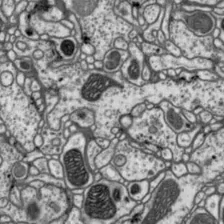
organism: Drosophila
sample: Protocerebral bridge